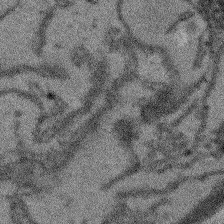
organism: Arabidopsis thaliana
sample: Root tip